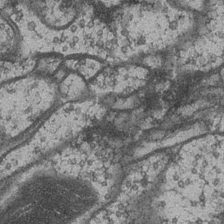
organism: Drosophila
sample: Optic medulla